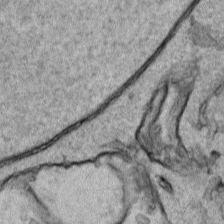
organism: Human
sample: Mitochondria in HCT116 cells